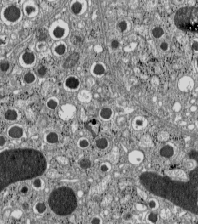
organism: C57BL Mouse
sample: Pancreatic islet